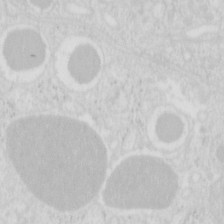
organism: Mouse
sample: Pancreas